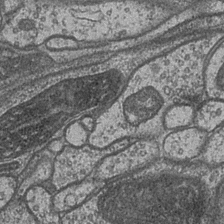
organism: Drosophila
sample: Optic medulla